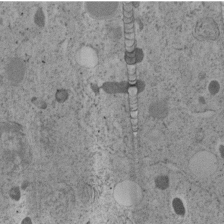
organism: C. elegans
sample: C. elegans embryo early stage